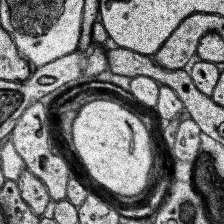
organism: Human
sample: Temporal Lobe